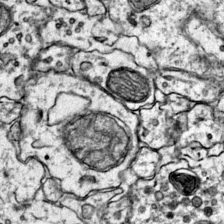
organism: Mouse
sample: Primary visual cortex